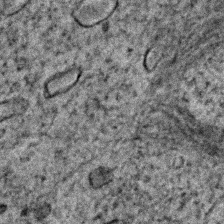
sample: Trachea